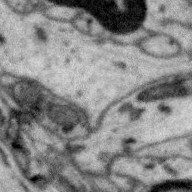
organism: Zebra finch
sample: Brain